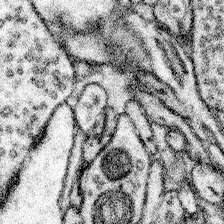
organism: Mouse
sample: Somatosensory cortex neuropil